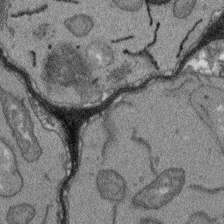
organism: Arabidopsis thaliana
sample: Root tip